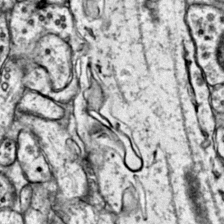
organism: Mouse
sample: Primary visual cortex